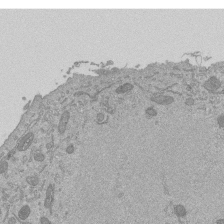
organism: Mouse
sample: ED-1 cell nuclei; centrioles